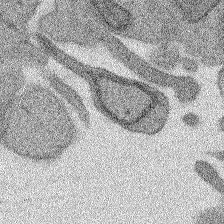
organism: Human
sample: HeLa cells